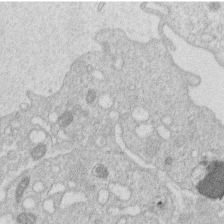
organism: Human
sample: Macrophage cells